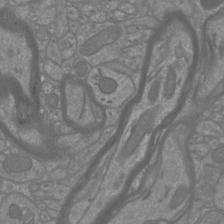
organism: Mouse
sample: Cortical neurons